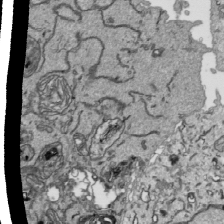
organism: Human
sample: Mitochondria in HCT116 cells